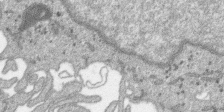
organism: Human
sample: Lung epithelial cells infected with SARS-CoV-2